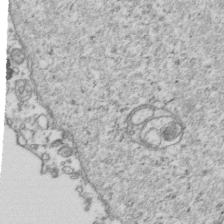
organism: Human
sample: Activated Jurkat CD4+ T cells